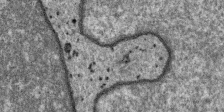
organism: Human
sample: Lung epithelial cells, uninfected (mock) control